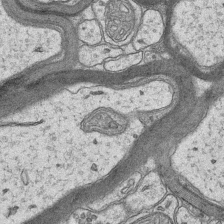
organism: Mouse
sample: CA1 Hippocampus